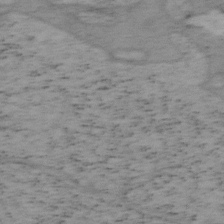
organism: Mouse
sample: OT-I killer T cells with ID8 ovarian cancer cells